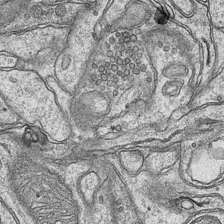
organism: Mouse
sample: CA1 Hippocampus